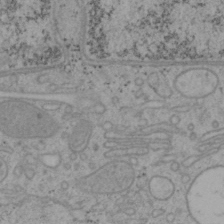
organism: Human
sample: HeLa cells